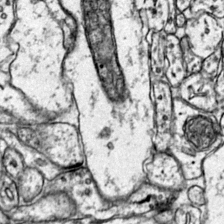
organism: Mouse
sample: Primary visual cortex